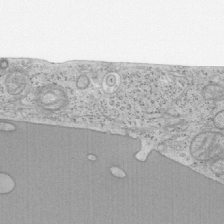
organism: Human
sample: HeLa cells